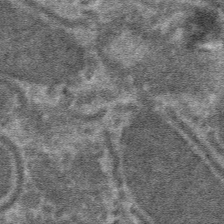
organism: Mouse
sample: Mouse hepatocytes